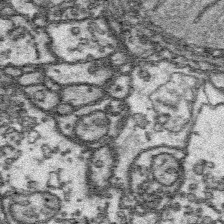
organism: Platynereis dumerilii